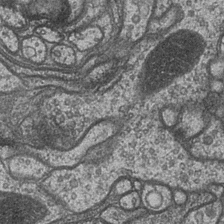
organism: Drosophila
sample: Optic medulla